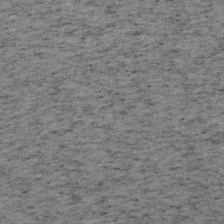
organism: Mouse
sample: OT-I killer T cells with ID8 ovarian cancer cells